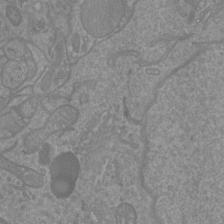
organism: Mouse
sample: Cortical neurons